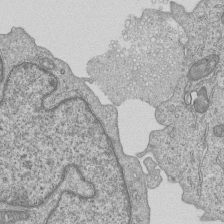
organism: Human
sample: MDA-MB-231 cells